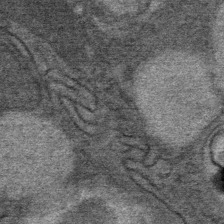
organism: Mouse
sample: Mouse Salivary gland